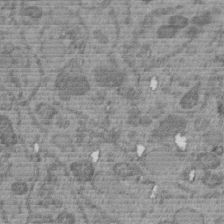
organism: C. elegans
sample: C. elegans embryo early stage